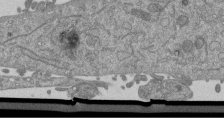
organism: Mouse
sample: ED-1 cell nuclei; centrioles